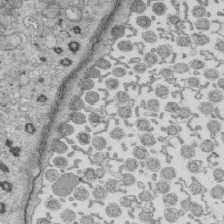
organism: Mouse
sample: Multiciliated cells